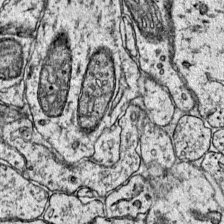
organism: Mouse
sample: Primary visual cortex